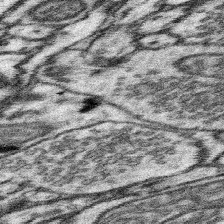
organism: Mouse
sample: Somatosensory cortex neuropil